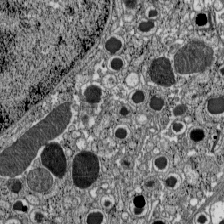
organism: C57BL Mouse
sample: Pancreatic islet